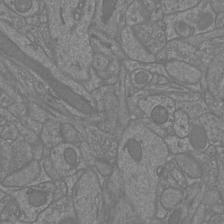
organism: Mouse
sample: Cortical neurons